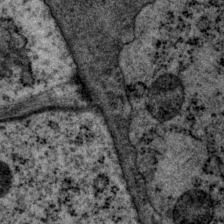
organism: P. pacificus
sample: Pharynx